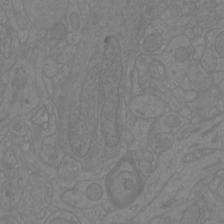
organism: Mouse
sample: Cortical neurons